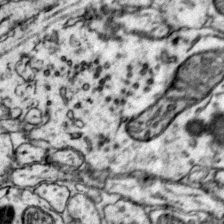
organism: Mouse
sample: Primary visual cortex